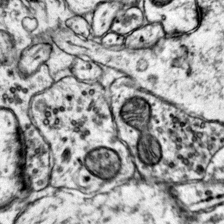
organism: Mouse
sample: Primary visual cortex